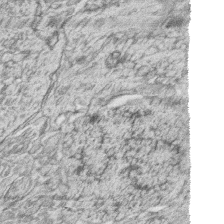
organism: Zebrafish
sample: synaptic ribbons in rod cells and cone cells